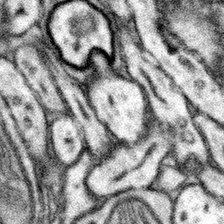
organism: Mouse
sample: Somatosensory cortex neuropil